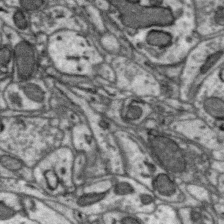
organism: Zebra finch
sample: Brain